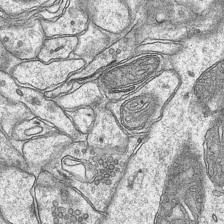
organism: Mouse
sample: CA1 Hippocampus